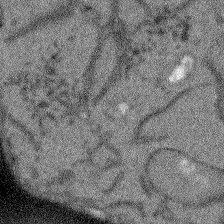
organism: Arabidopsis thaliana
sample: Root tip